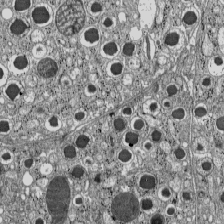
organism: C57BL Mouse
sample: Pancreatic islet